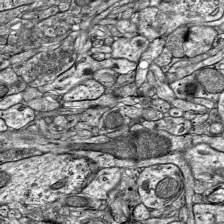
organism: Mouse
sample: Visual Cortex